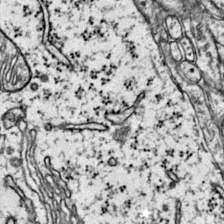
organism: Mouse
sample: Primary visual cortex